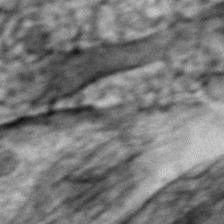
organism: Zebrafish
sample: Zebrafish embryo